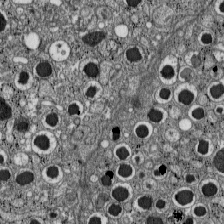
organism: C57BL Mouse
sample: Pancreatic islet